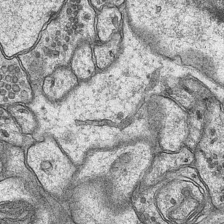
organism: Mouse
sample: CA1 Hippocampus